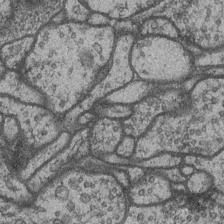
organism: Drosophila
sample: Optic medulla